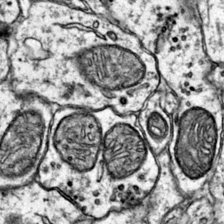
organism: Mouse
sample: Primary visual cortex